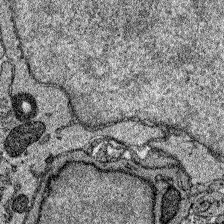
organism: Zebrafish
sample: Larval olfactory bulb